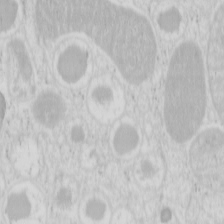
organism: Mouse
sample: Pancreas